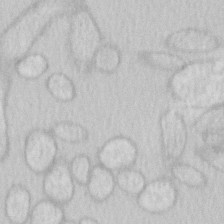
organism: Human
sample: HeLa cells